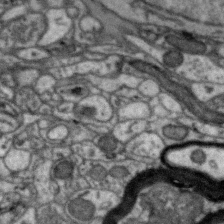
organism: Zebra finch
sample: Brain